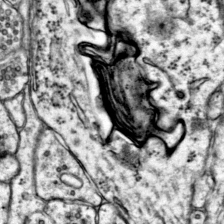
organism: Mouse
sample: Primary visual cortex